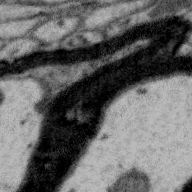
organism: Zebra finch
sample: Brain